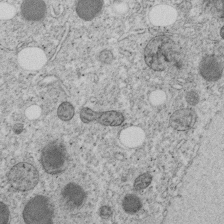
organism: C. elegans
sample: C. elegans embryo early stage